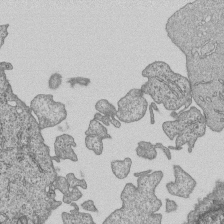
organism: Human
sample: MDA-MB-231 cells